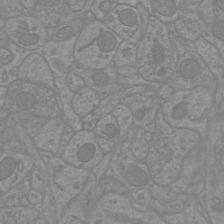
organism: Mouse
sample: Cortical neurons